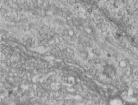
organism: Human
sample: Centriole in RPE cells